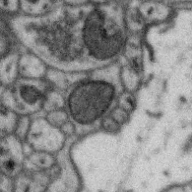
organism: Zebra finch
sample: Brain